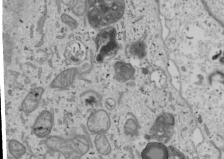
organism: Human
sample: Mitochondria in U2OS cells